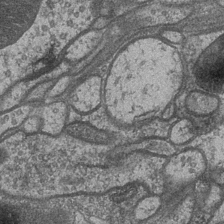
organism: Drosophila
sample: Optic medulla